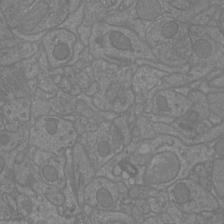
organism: Mouse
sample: Cortical neurons